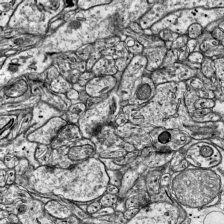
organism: Mouse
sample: Visual Cortex